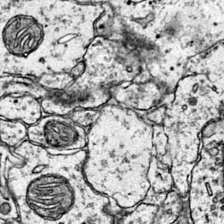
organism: Mouse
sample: Primary visual cortex